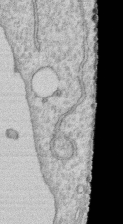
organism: Human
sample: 1205lu cells